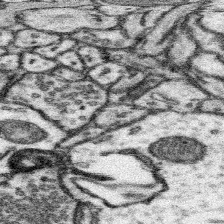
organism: Mouse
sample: Somatosensory cortex neuropil